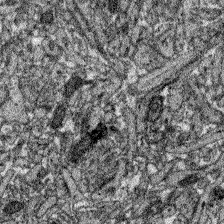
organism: Zebrafish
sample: Larval olfactory bulb